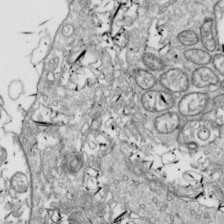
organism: Drosophila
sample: Cell division; meiosis; drosophila spermatocytes